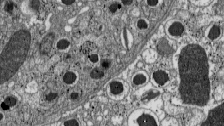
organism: C57BL Mouse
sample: Pancreatic islet